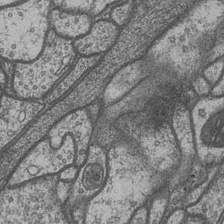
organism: Drosophila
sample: Optic medulla